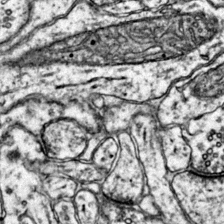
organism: Mouse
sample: Primary visual cortex